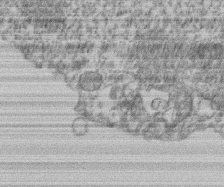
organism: Mouse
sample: T cell stromal cell synapse